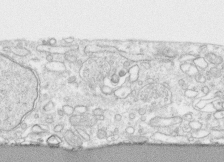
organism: Human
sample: CRL-1474